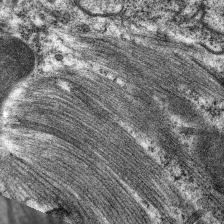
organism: C. elegans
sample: Pharynx